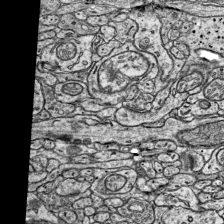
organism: Mouse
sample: Visual Cortex